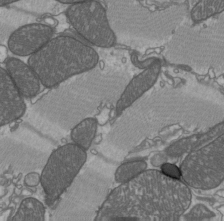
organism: C57BL Mouse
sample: Heart